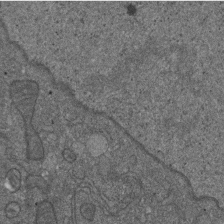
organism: Drosophila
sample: Nephrocyte